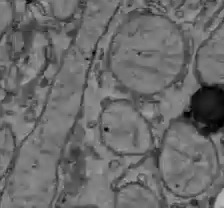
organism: C57BL Mouse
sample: Liver